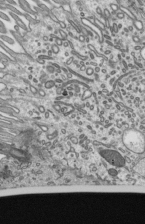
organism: Mouse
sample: Mouse epididymis efferent ductule cilia